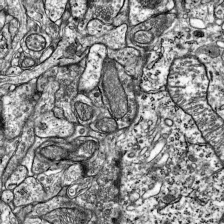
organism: Mouse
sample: Visual Cortex